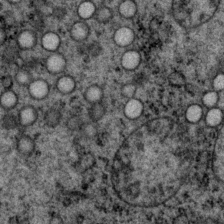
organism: P. pacificus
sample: Pharynx